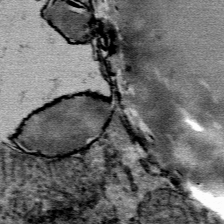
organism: Mouse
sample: Mouse Salivary gland